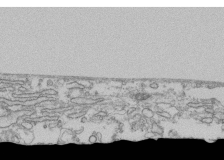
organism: Human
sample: Fibroblast cells